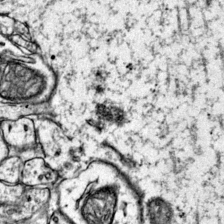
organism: Mouse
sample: Primary visual cortex